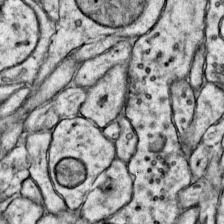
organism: Mouse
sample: Primary visual cortex